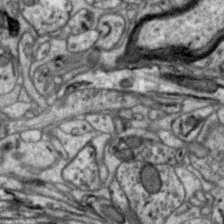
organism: Zebra finch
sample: Brain